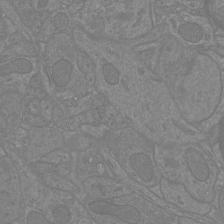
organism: Mouse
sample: Cortical neurons